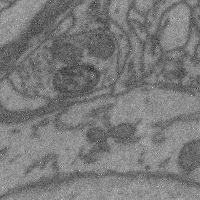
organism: Mouse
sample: Cerebral cortex